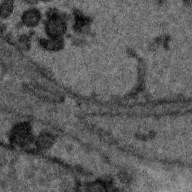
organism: Zebra finch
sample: Brain